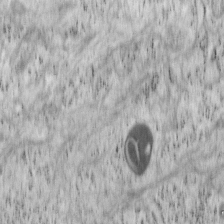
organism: Human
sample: HeLa cells